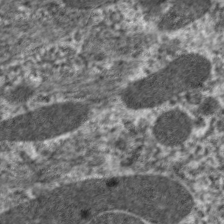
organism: C. elegans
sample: Pharynx